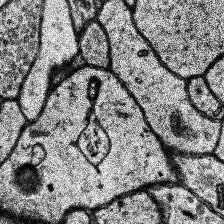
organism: Human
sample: Temporal Lobe